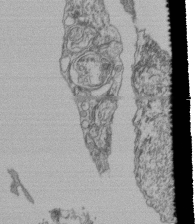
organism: Human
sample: Retinal organoid Rod and Cone cells